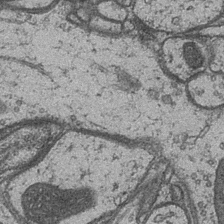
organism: Drosophila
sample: Optic medulla